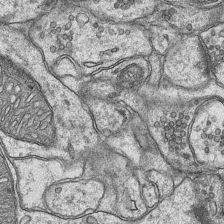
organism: Mouse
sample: CA1 Hippocampus